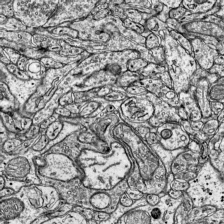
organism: Mouse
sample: Visual Cortex